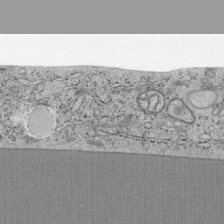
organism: Human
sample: HeLa cells